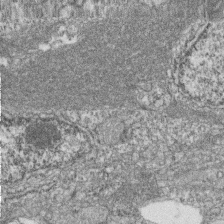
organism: Zebrafish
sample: Cilia; retinal pigment epithelium